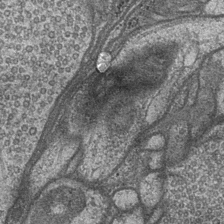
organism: Drosophila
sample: Optic medulla